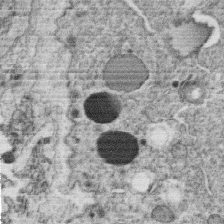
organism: C. elegans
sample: C. elegans oocyte; sperm cells